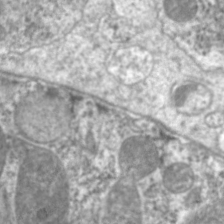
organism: C. elegans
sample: Pharynx